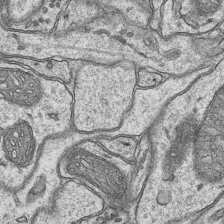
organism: Mouse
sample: CA1 Hippocampus